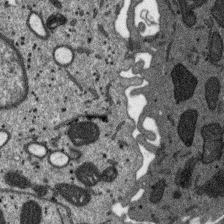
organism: Human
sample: Lung epithelial cells infected with SARS-CoV-2